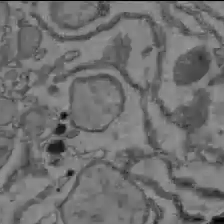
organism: C57BL Mouse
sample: Liver